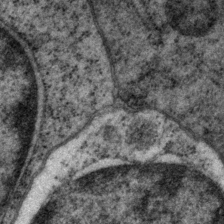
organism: P. pacificus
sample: Pharynx